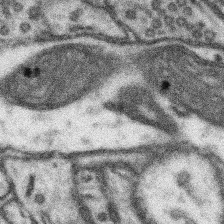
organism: Mouse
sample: Somatosensory cortex neuropil